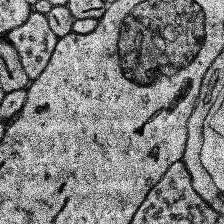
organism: Human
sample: Temporal Lobe